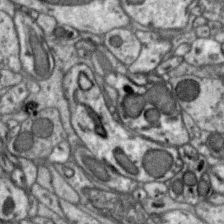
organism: Zebra finch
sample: Brain